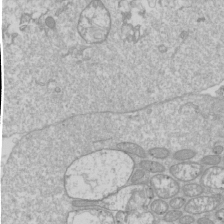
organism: Drosophila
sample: Cell division; meiosis; drosophila spermatocytes